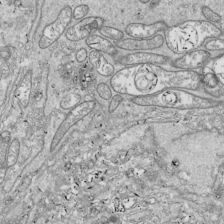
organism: Drosophila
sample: Cell division; meiosis; drosophila spermatocytes